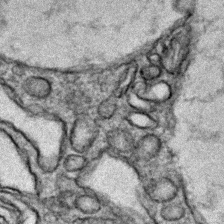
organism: Zebrafish